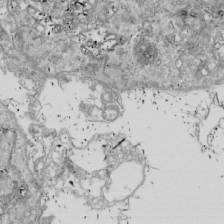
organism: Drosophila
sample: Cell division; meiosis; drosophila spermatocytes